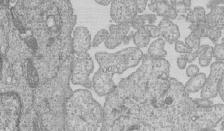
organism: Human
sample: MDA-MB-231 cells